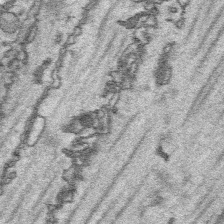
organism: Platynereis dumerilii